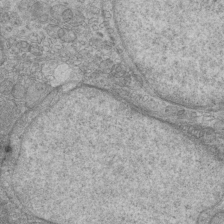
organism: Mouse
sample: Cilia; mouse epididymis